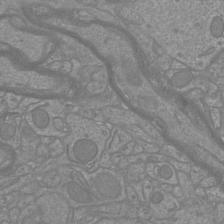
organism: Mouse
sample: Cortical neurons